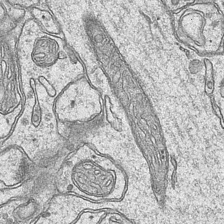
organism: Mouse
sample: CA1 Hippocampus